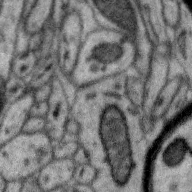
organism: Zebra finch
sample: Brain